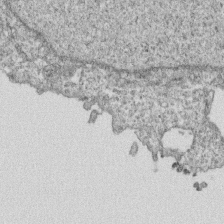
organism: Human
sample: HeLa cell HIV synapse